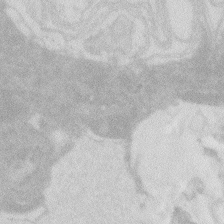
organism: Zebrafish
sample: Macrophage